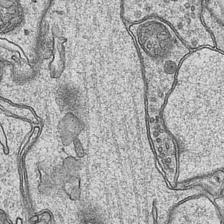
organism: Mouse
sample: CA1 Hippocampus